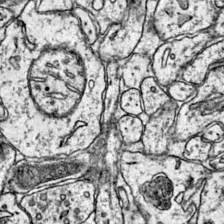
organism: Mouse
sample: Primary visual cortex